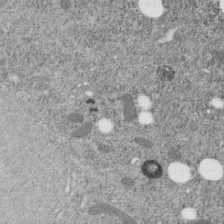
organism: C. elegans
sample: C. elegans embryo early stage